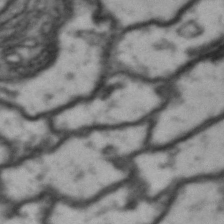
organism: Drosophila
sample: Brain